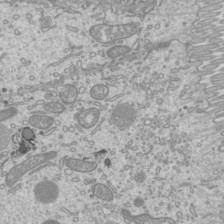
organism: Mouse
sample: Cilia; mouse epididymis